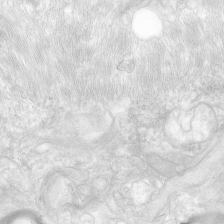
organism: Human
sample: Neocortex